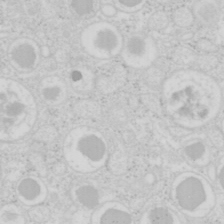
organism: Mouse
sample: Pancreas